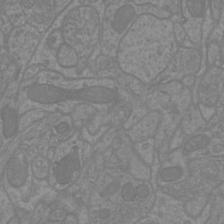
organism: Mouse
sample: Cortical neurons